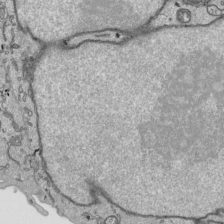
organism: Human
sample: Mitochondria in HCT116 cells